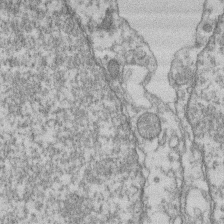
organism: Mouse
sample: T cell stromal cell synapse